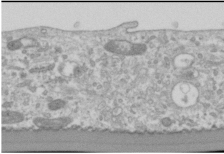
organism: Human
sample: Cilia; basal body in RPE cells